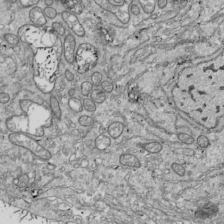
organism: Drosophila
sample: Cell division; meiosis; drosophila spermatocytes